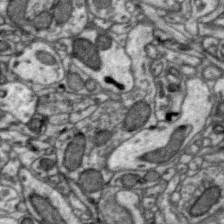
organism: Zebra finch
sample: Brain